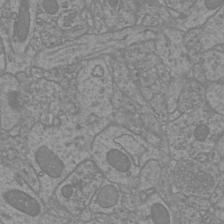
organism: Mouse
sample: Cortical neurons